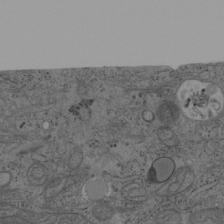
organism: Human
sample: HeLa cells